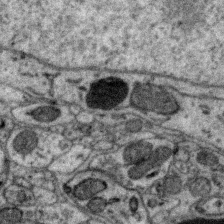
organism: Zebra finch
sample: Brain